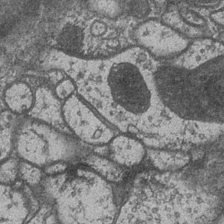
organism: Drosophila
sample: Optic medulla